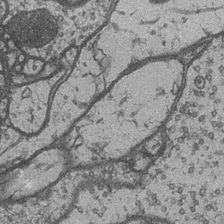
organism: Drosophila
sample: Optic medulla